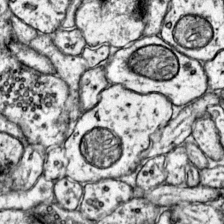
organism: Mouse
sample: Primary visual cortex